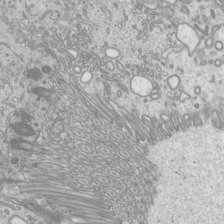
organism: Mouse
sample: Cilia; mouse epididymis